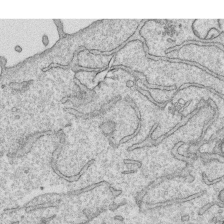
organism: Human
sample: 1205lu cells